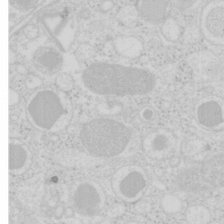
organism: Mouse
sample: Pancreas